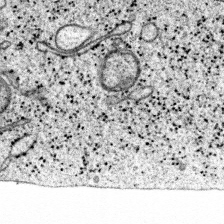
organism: Human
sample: HeLa cells